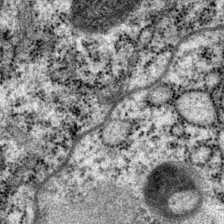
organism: P. pacificus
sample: Pharynx